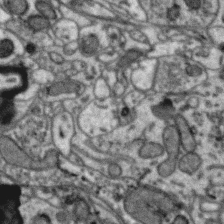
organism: Zebra finch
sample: Brain